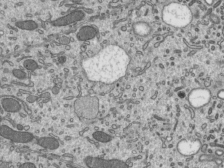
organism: Mouse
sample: Mouse epididymis efferent ductule cilia